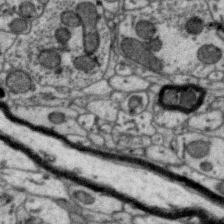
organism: Zebra finch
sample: Brain